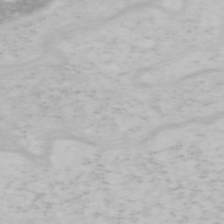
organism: Mouse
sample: OT-I killer T cells with ID8 ovarian cancer cells